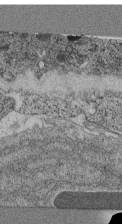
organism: C. elegans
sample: C. elegans pharynx